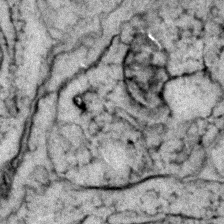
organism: Zebrafish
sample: Zebrafish embryo